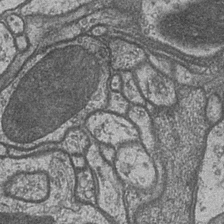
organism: Drosophila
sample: Optic medulla